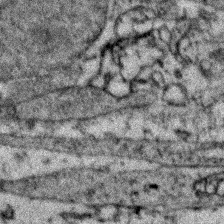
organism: Zebrafish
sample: Zebrafish embryo